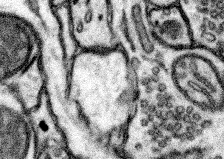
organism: Mouse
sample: Somatosensory cortex neuropil